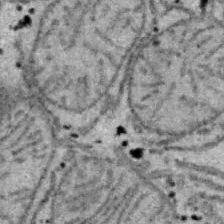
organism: Mouse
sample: Liver from an obese (ob/ob) mouse